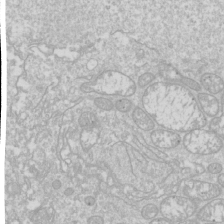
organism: Drosophila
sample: Cell division; meiosis; drosophila spermatocytes